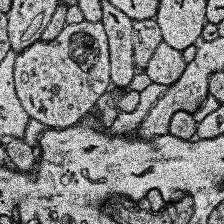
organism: Human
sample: Temporal Lobe